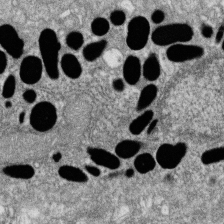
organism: Zebrafish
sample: Cilia; retinal pigment epithelium